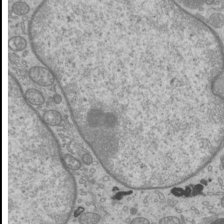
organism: Mouse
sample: Cilia; mouse epididymis